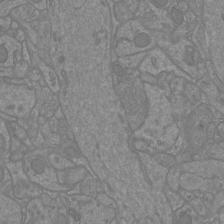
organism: Mouse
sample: Cortical neurons